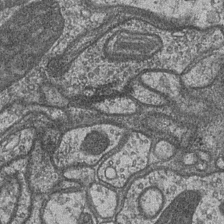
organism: Drosophila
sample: Optic medulla